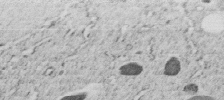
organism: C. elegans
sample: C. elegans embryo early stage